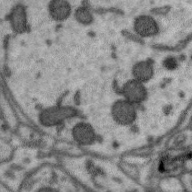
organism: Zebra finch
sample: Brain